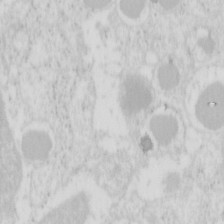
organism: Mouse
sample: Pancreas